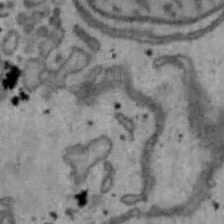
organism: Mouse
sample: Liver